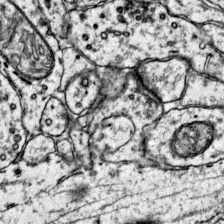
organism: Mouse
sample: Primary visual cortex